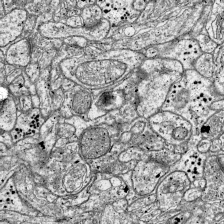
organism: Mouse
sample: Visual Cortex